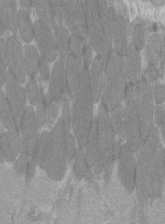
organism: C57BL Mouse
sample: Tibialis anterior muscle cell